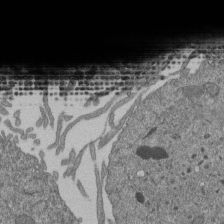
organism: Human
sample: Retinal organoid Rod and Cone cells